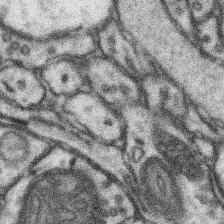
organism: Mouse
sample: Somatosensory cortex neuropil